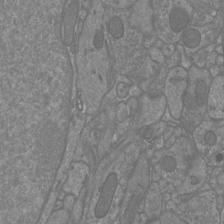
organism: Mouse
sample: Cortical neurons